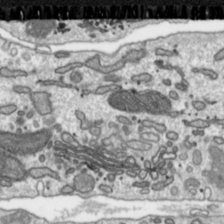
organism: Toxoplasma gondii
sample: Parasites in a vacuole inside a host cell